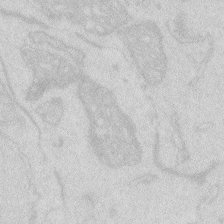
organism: Zebrafish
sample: Macrophage